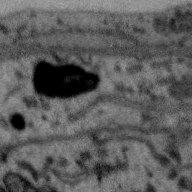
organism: Zebra finch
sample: Brain